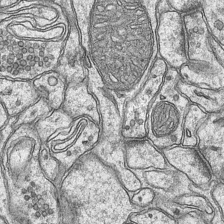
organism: Mouse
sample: CA1 Hippocampus